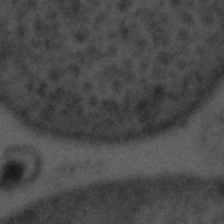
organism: Tuwongella immobilis